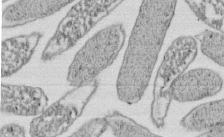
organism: E. coli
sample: Bacterial nucleoid